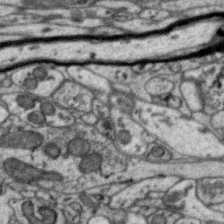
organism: Zebra finch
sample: Brain